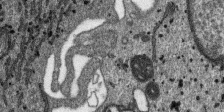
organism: Human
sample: Lung epithelial cells infected with SARS-CoV-2